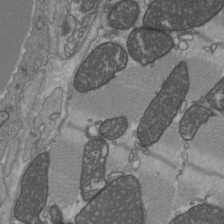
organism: C57BL Mouse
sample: Heart